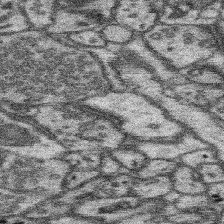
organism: Mouse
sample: Somatosensory cortex neuropil